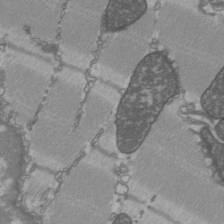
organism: C57BL Mouse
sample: Heart